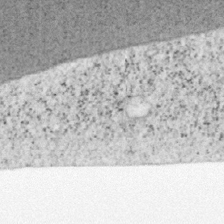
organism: Mouse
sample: OT-I killer T cells with ID8 ovarian cancer cells